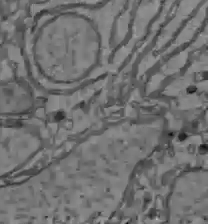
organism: C57BL Mouse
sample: Liver